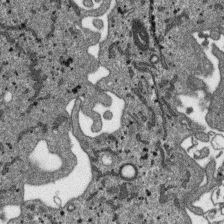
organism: Human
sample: Lung epithelial cells infected with SARS-CoV-2